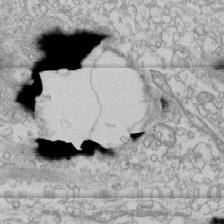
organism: Human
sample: CRL-1474